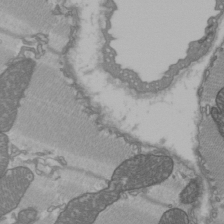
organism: C57BL Mouse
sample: Heart